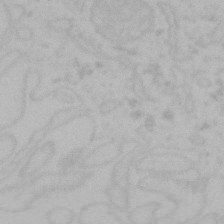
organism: Mouse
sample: Choroid plexus